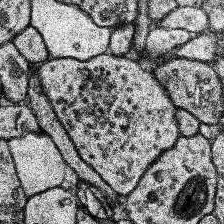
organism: Human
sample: Temporal Lobe